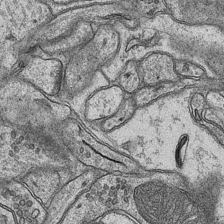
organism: Mouse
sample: CA1 Hippocampus